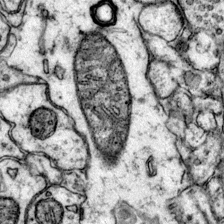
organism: Mouse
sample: Primary visual cortex